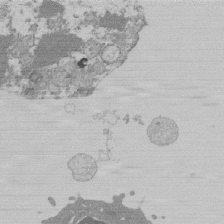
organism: Mouse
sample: Activated Pmel transgenic CD8+ T Cells